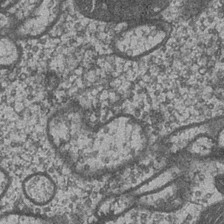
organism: Drosophila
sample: Optic medulla